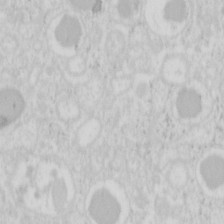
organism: Mouse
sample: Pancreas